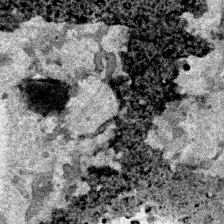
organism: Human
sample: Mitochondria in HCT116 cells